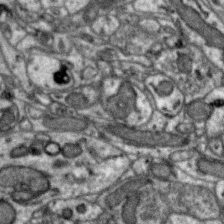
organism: Zebra finch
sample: Brain